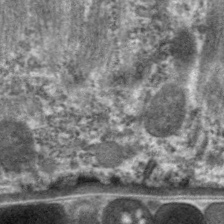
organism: C. elegans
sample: Pharynx